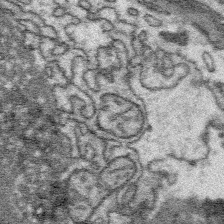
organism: Platynereis dumerilii